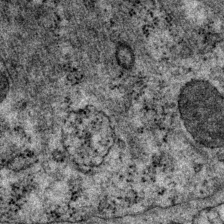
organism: P. pacificus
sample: Pharynx